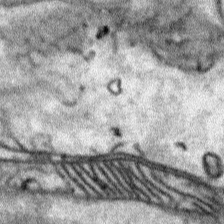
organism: Human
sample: Mitochondria in HCT116 cells